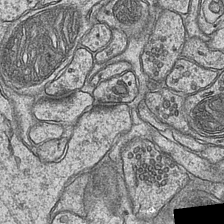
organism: Mouse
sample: CA1 Hippocampus